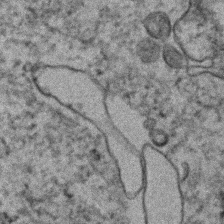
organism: Human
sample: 1205lu cells